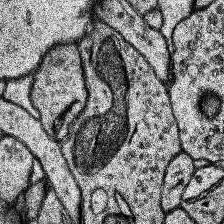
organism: Human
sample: Temporal Lobe